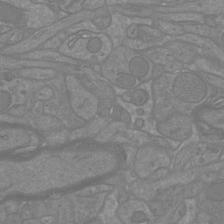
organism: Mouse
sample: Cortical neurons